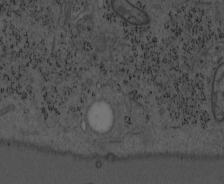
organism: Mouse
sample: OT-I killer T cells with ID8 ovarian cancer cells